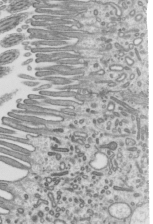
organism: Mouse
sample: Mouse epididymis efferent ductule cilia